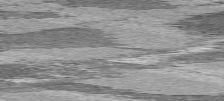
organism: C57BL Mouse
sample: Heart